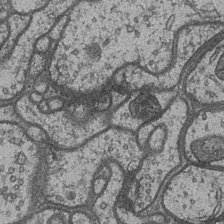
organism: Drosophila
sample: Optic medulla